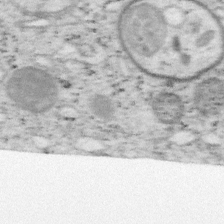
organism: Mouse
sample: OT-I killer T cells with ID8 ovarian cancer cells